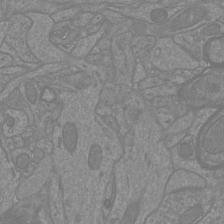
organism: Mouse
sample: Cortical neurons